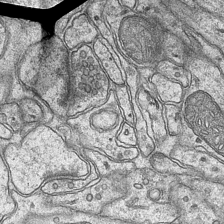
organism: Mouse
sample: CA1 Hippocampus